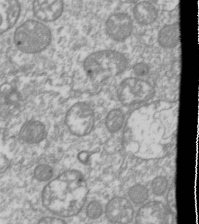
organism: Drosophila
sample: Cell division; meiosis; drosophila spermatocytes